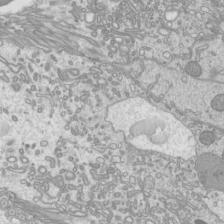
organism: Mouse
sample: Cilia; mouse epididymis